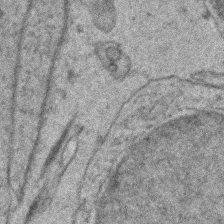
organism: Zebrafish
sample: Zebrafish embryo